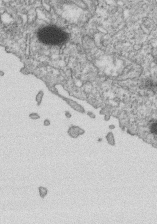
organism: Human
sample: HeLa cell HIV synapse